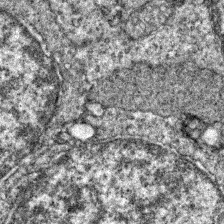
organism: Zebrafish